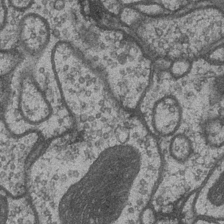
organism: Drosophila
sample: Optic medulla